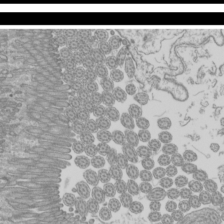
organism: Mouse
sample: Cilia; mouse epididymis